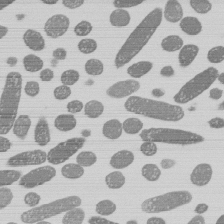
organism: E. coli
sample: Bacterial nucleoid